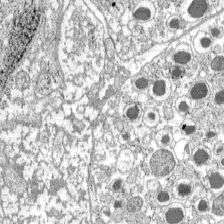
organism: C57BL Mouse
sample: Pancreatic islet